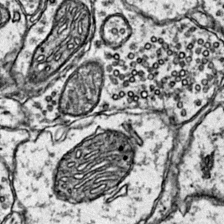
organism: Mouse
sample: Primary visual cortex